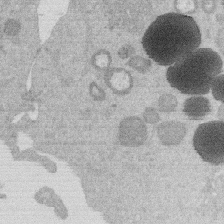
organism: Mouse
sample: Dividing mouse embryo 1 cell stage